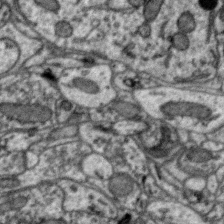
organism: Zebra finch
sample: Brain